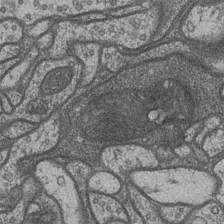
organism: Drosophila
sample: Optic medulla